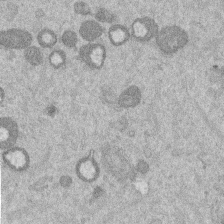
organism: Mouse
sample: Dividing mouse embryo 1 cell stage